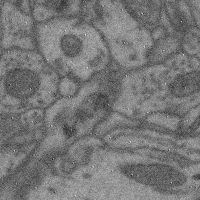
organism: Mouse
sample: Cerebral cortex